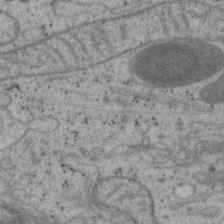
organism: Human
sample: HeLa cells